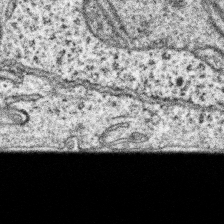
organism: Human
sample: HeLa cells